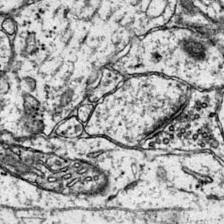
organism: Mouse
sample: Primary visual cortex